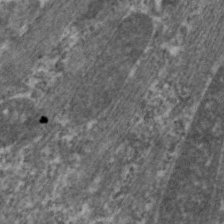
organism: C. elegans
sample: Pharynx